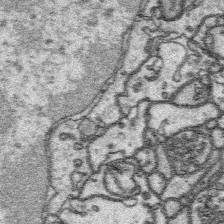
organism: Platynereis dumerilii